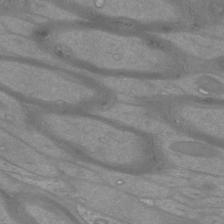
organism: Mouse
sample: Cortical neurons